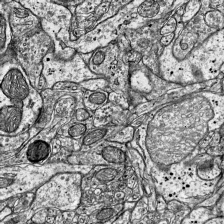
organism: Mouse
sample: Visual Cortex